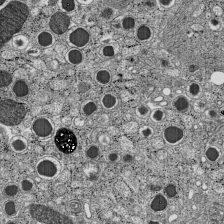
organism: C57BL Mouse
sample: Pancreatic islet